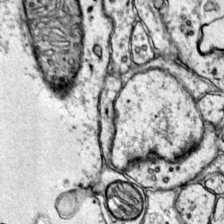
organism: Mouse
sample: Primary visual cortex